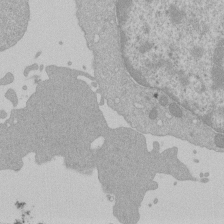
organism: Mouse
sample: Activated Pmel transgenic CD8+ T Cells